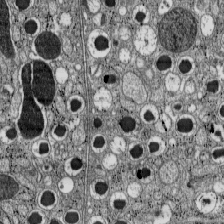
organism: C57BL Mouse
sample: Pancreatic islet